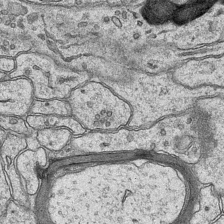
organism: Mouse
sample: CA1 Hippocampus